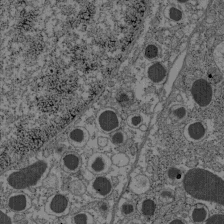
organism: C57BL Mouse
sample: Pancreatic islet